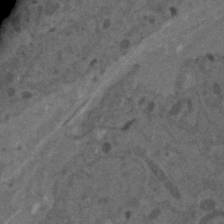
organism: C. elegans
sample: C. elegans embryo